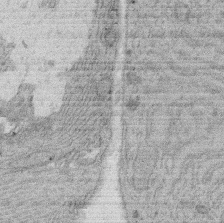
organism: Rat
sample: Salivary granule